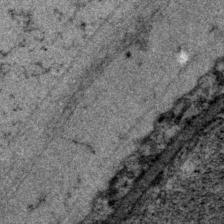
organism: P. pacificus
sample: Pharynx